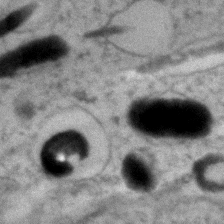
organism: Zebrafish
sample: Zebrafish embryo